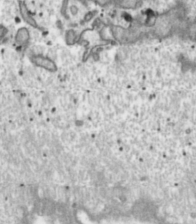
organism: Toxoplasma gondii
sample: Parasites in a vacuole inside a host cell